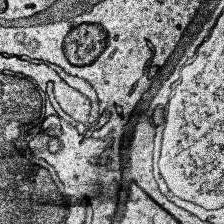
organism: Human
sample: Temporal Lobe